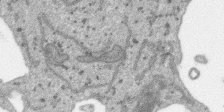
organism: Human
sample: Lung epithelial cells infected with SARS-CoV-2